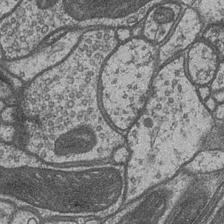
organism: Drosophila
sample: Optic medulla